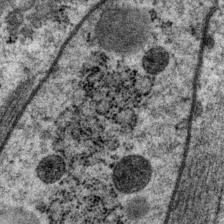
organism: P. pacificus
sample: Pharynx